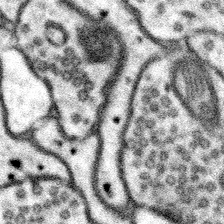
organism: Mouse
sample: Somatosensory cortex neuropil